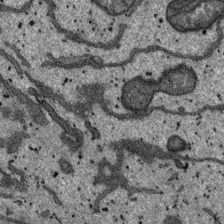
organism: Human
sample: Lung epithelial cells, uninfected (mock) control